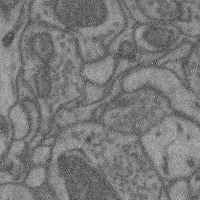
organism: Mouse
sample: Cerebral cortex